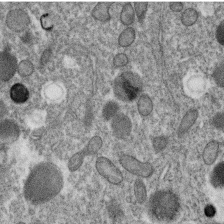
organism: C. elegans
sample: C. elegans oocyte; sperm cells